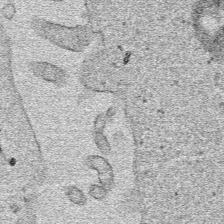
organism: Human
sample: Mitochondria in HCT116 cells